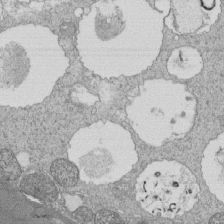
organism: Tetrahymena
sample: Cilia in tetrahymena